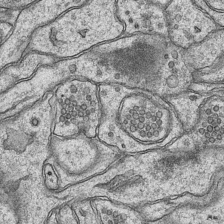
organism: Mouse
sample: CA1 Hippocampus